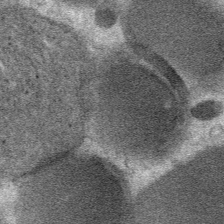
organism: Mouse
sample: Mouse Salivary gland